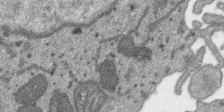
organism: Human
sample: Lung epithelial cells infected with SARS-CoV-2